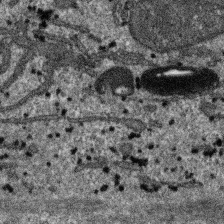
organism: Human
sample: Lung epithelial cells infected with SARS-CoV-2